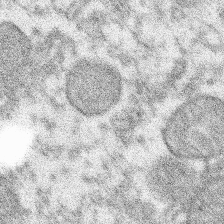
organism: Xenopus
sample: Cilia; centrioles in frog embryo cells